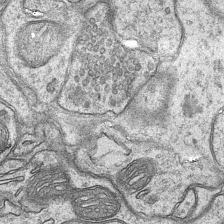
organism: Mouse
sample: CA1 Hippocampus